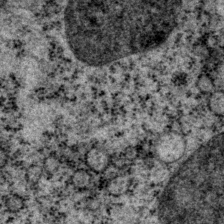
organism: P. pacificus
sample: Pharynx